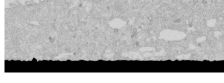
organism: Human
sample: Caco-2 cells